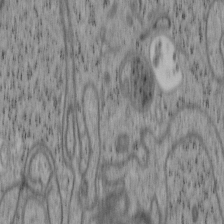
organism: Human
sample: HeLa cells